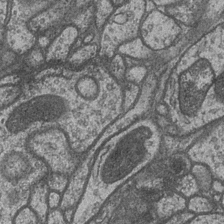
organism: Drosophila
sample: Optic medulla